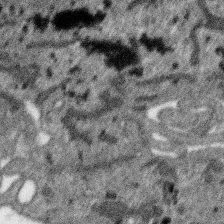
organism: Human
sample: Lung epithelial cells infected with SARS-CoV-2